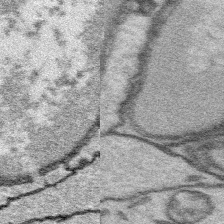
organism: Platynereis dumerilii